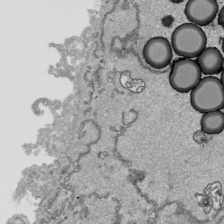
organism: Human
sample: Mitochondria in HCT116 cells